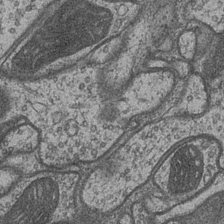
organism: Drosophila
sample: Optic medulla